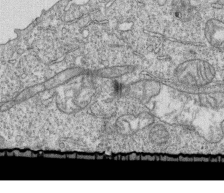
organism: Human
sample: HeLa cell HIV synapse